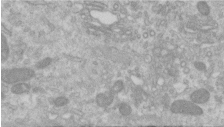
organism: Human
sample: Centriole in RPE cells